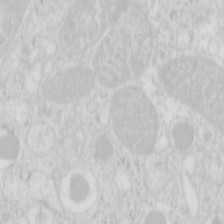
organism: Mouse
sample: Pancreas